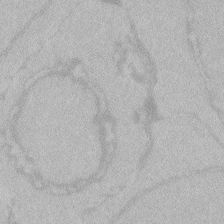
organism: Zebrafish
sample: Macrophage infected with Toxoplasma gondii